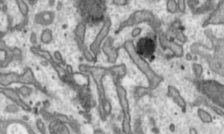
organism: Toxoplasma gondii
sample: Parasites in a vacuole inside a host cell